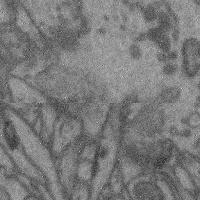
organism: Mouse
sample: Cerebral cortex